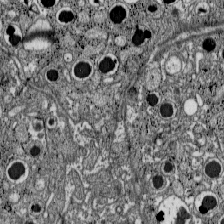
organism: C57BL Mouse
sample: Pancreatic islet